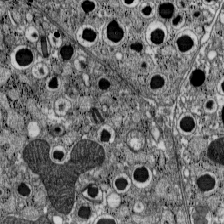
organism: C57BL Mouse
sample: Pancreatic islet